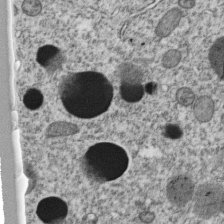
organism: C. elegans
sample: C. elegans embryo early stage